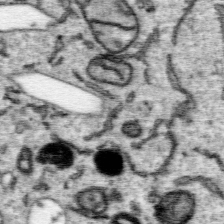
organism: Human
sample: HeLa cells